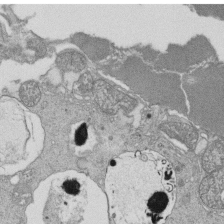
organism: Tetrahymena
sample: Cilia in tetrahymena